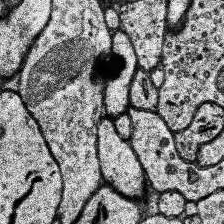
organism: Human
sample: Temporal Lobe